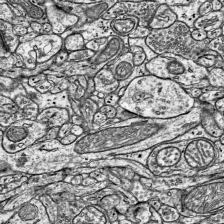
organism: Mouse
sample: Visual Cortex